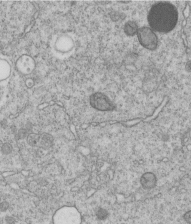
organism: C. elegans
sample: C. elegans embryo early stage